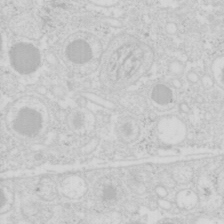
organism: Mouse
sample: Pancreas